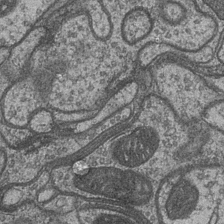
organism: Drosophila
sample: Optic medulla